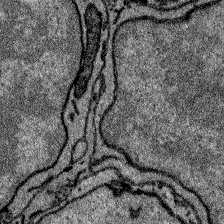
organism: Zebrafish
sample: Larval olfactory bulb